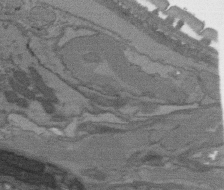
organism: C. elegans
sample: AFD neurons C. elegans